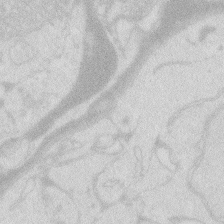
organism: Zebrafish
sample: Macrophage